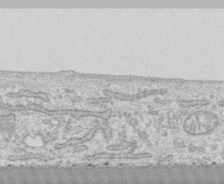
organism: Human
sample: CRL-1474